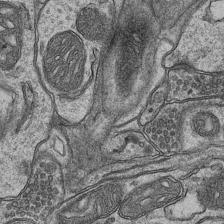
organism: Mouse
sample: CA1 Hippocampus